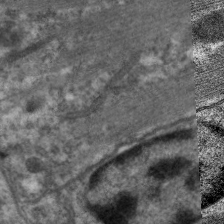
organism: C. elegans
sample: Pharynx